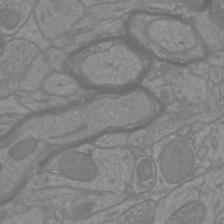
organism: Mouse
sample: Cortical neurons